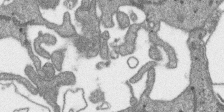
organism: Human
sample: Lung epithelial cells infected with SARS-CoV-2